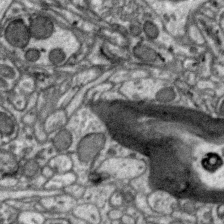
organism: Zebra finch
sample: Brain